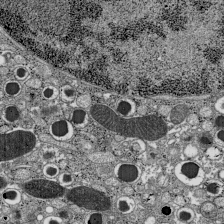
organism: C57BL Mouse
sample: Pancreatic islet